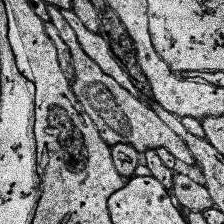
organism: Human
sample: Temporal Lobe